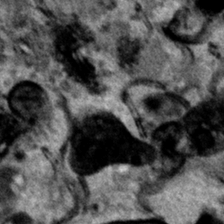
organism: Human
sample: Mitochondria in HCT116 cells